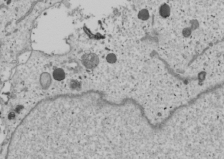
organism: Human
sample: Mitochondria in U2OS cells